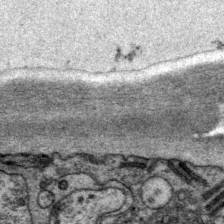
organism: P. pacificus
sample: Pharynx